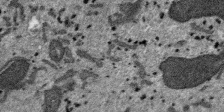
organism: Human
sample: Lung epithelial cells, uninfected (mock) control